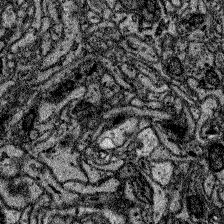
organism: Zebrafish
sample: Larval olfactory bulb